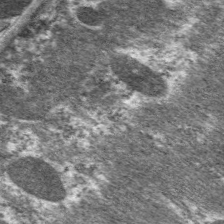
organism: C. elegans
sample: Pharynx